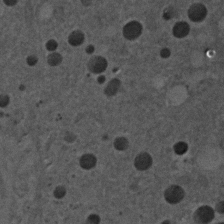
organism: C. elegans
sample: C. elegans embryo